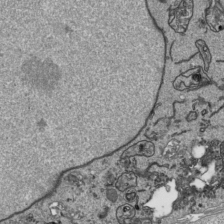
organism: Human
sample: Mitochondria in HCT116 cells